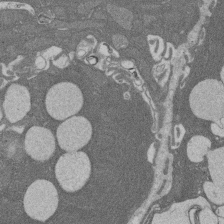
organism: Rat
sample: Salivary granule